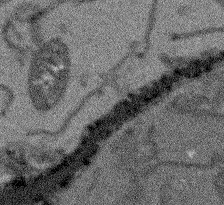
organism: Arabidopsis thaliana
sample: Root tip